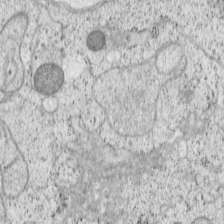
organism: African green monkey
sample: COS-7 cells